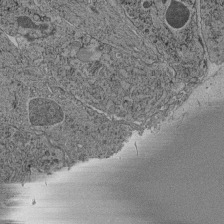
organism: C. elegans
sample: C. elegans pharynx